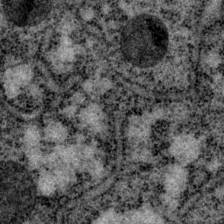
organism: P. pacificus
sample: Pharynx